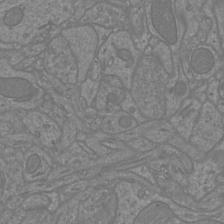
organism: Mouse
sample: Cortical neurons